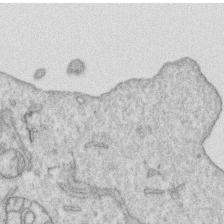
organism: Human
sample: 1205lu cells